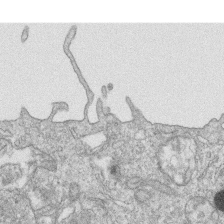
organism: Human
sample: HeLa cell HIV synapse